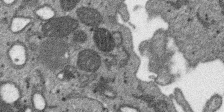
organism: Human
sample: Lung epithelial cells infected with SARS-CoV-2